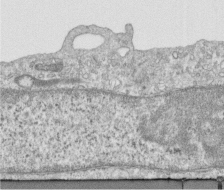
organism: Human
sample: Centriole in RPE cells